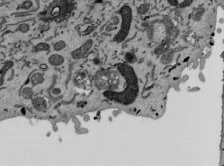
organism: Mouse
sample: ED-1 cell nuclei; centrioles